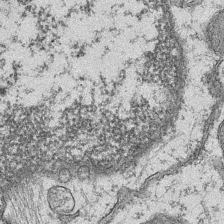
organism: Mouse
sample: CA1 Hippocampus